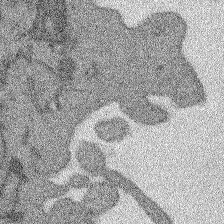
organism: Human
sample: HeLa cells